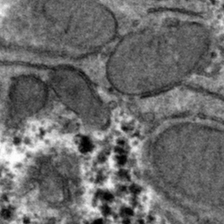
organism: Mouse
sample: Mouse hepatocytes